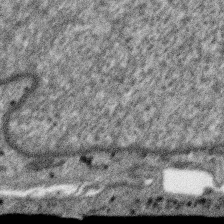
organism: Human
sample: Lung epithelial cells infected with SARS-CoV-2